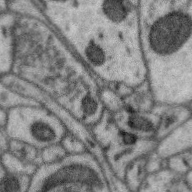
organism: Zebra finch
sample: Brain